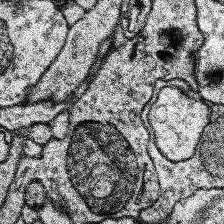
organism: Human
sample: Temporal Lobe